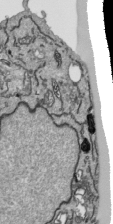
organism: Human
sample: Mitochondria in HCT116 cells